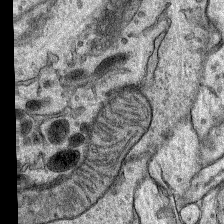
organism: Rat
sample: Hippocampus